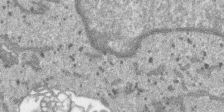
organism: Human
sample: Lung epithelial cells infected with SARS-CoV-2